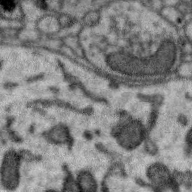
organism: Zebra finch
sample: Brain